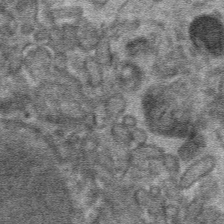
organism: Mouse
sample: Mouse hepatocytes